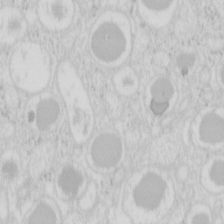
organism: Mouse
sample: Pancreas